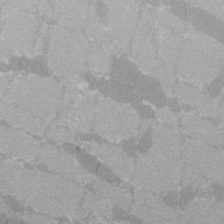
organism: C57BL Mouse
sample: Tibialis anterior muscle cell